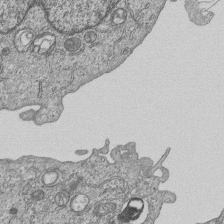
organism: Human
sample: MDA-MB-231 cells